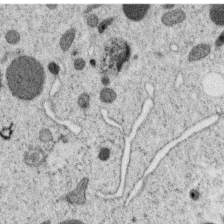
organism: C. elegans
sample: C. elegans oocyte; sperm cells